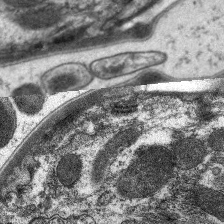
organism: C. elegans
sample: Pharynx